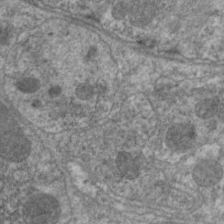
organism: C. elegans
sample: Pharynx